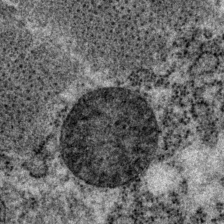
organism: P. pacificus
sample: Pharynx